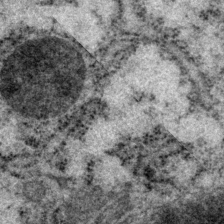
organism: P. pacificus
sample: Pharynx